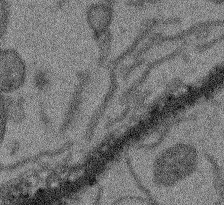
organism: Arabidopsis thaliana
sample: Root tip